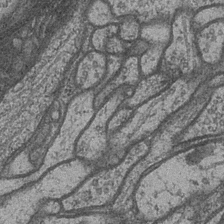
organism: Drosophila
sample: Optic medulla